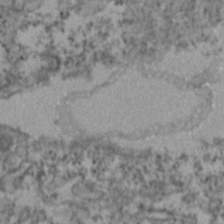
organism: Zebrafish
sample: Zebrafish embryo